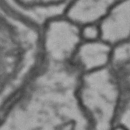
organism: Drosophila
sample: Brain